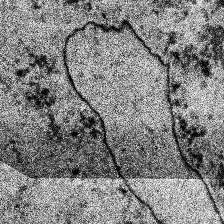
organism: Human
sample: Temporal Lobe